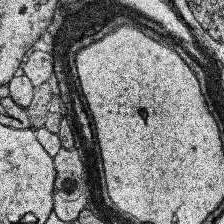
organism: Human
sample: Temporal Lobe